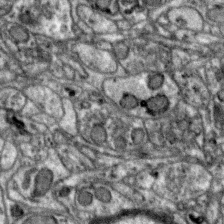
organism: Zebra finch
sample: Brain